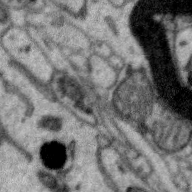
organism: Zebra finch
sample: Brain